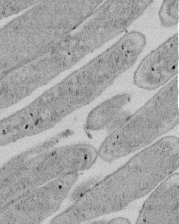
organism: E. coli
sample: Bacterial nucleoid